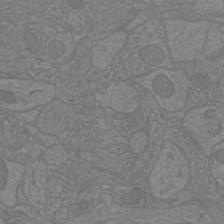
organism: Mouse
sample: Cortical neurons